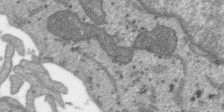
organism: Human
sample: Lung epithelial cells infected with SARS-CoV-2